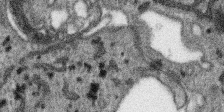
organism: Human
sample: Lung epithelial cells infected with SARS-CoV-2